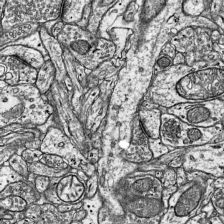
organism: Mouse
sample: Visual Cortex